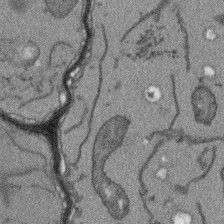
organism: Arabidopsis thaliana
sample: Root tip